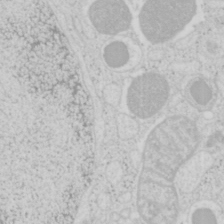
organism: Mouse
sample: Pancreas